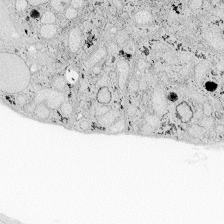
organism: Zebrafish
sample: Whole-Brain